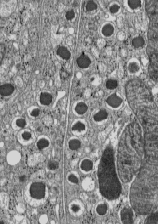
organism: C57BL Mouse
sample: Pancreatic islet